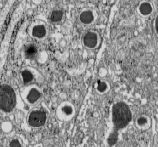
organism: C57BL Mouse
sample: Pancreatic islet